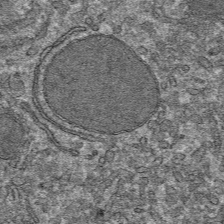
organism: Mouse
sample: Mouse hepatocytes